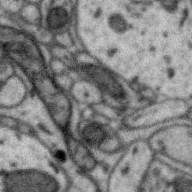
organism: Zebra finch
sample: Brain